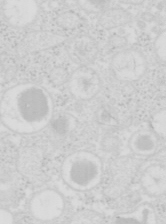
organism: Mouse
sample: Pancreas